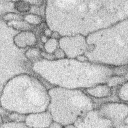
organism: Rabbit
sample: Retina